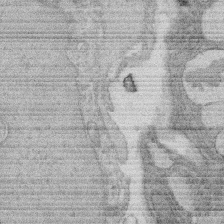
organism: Rat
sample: Salivary granule